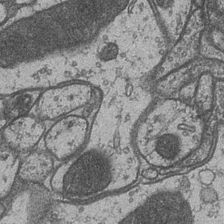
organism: Drosophila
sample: Optic medulla